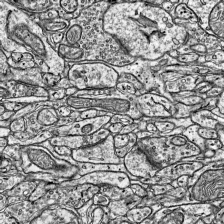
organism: Mouse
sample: Visual Cortex